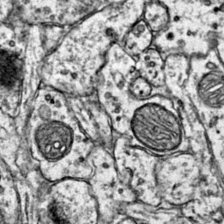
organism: Mouse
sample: Primary visual cortex